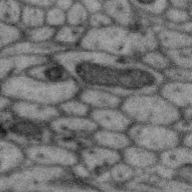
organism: Zebra finch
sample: Brain